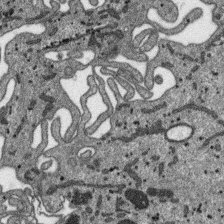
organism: Human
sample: Lung epithelial cells infected with SARS-CoV-2